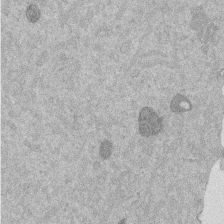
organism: Mouse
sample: Dividing mouse embryo 1 cell stage